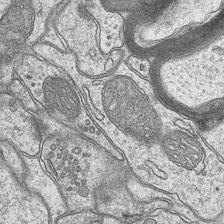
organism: Mouse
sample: CA1 Hippocampus